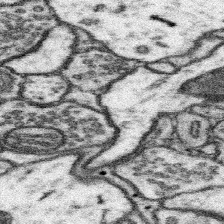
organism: Mouse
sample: Somatosensory cortex neuropil